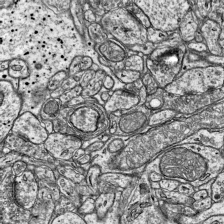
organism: Mouse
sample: Visual Cortex